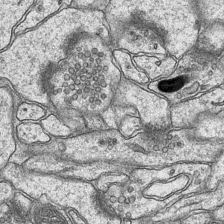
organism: Mouse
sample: CA1 Hippocampus